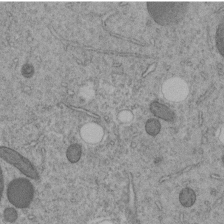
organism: C. elegans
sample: C. elegans embryo early stage